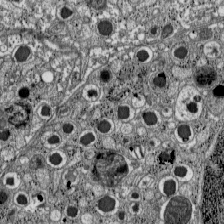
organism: C57BL Mouse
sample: Pancreatic islet